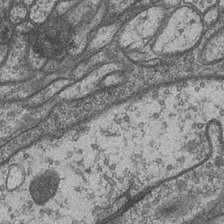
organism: Drosophila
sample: Optic medulla